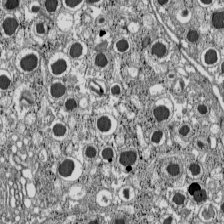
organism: C57BL Mouse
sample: Pancreatic islet